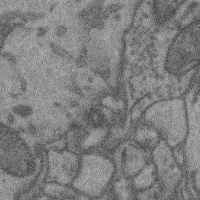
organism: Mouse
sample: Cerebral cortex